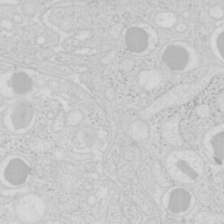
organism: Mouse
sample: Pancreas